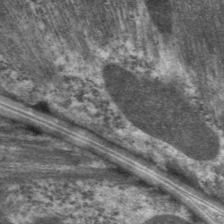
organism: C. elegans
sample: Pharynx